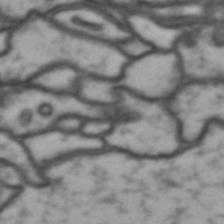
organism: Drosophila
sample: Brain